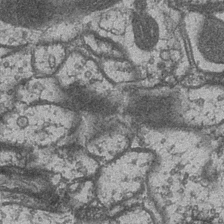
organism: Drosophila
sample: Optic medulla